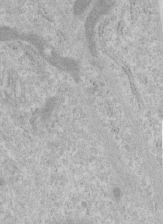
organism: Human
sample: Centriole in RPE cells